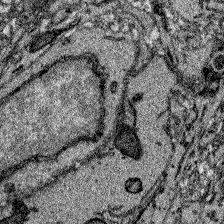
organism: Zebrafish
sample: Larval olfactory bulb